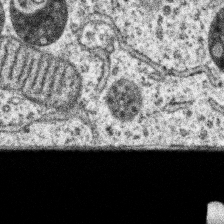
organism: Human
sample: HeLa cells